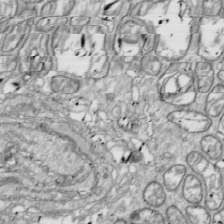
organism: Drosophila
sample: Cell division; meiosis; drosophila spermatocytes